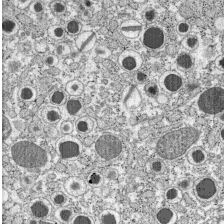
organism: C57BL Mouse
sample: Pancreatic islet